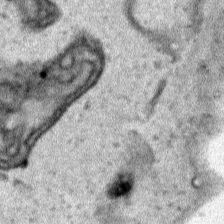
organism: Human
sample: Mitochondria in HCT116 cells